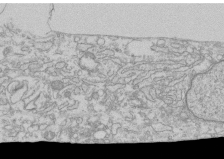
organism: Human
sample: CRL-1474